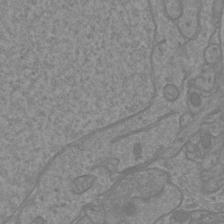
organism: Mouse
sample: Cortical neurons